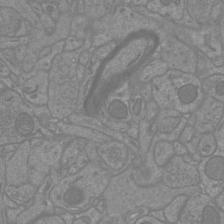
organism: Mouse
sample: Cortical neurons